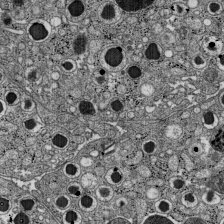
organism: C57BL Mouse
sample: Pancreatic islet